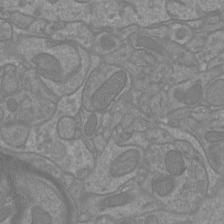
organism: Mouse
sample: Cortical neurons